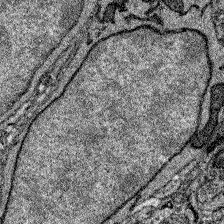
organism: Zebrafish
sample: Larval olfactory bulb